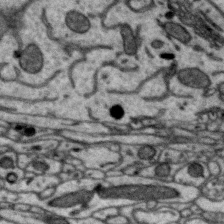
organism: Zebra finch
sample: Brain